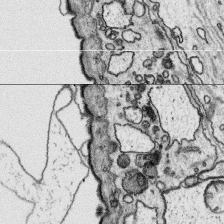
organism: Platynereis dumerilii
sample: Parapodia